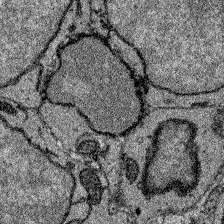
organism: Zebrafish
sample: Larval olfactory bulb